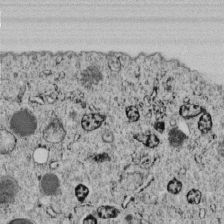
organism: C. elegans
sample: C. elegans embryo early stage